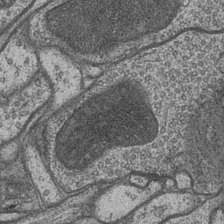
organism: Drosophila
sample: Optic medulla